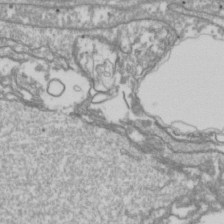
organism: Drosophila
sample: Cell division; meiosis; drosophila spermatocytes